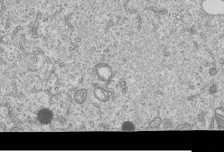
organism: Human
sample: MDA-MB-231 cells